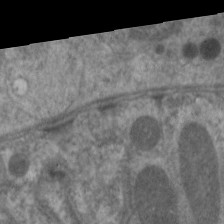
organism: C. elegans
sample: Pharynx